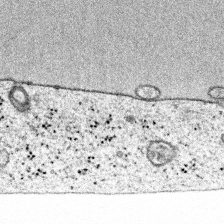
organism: Human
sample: HeLa cells